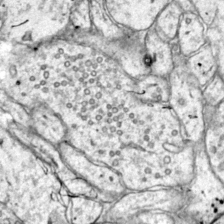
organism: Mouse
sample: Primary visual cortex